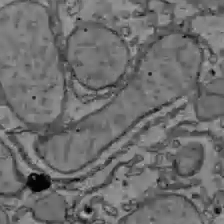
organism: C57BL Mouse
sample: Liver